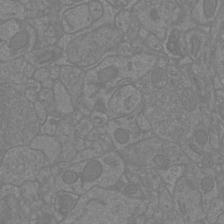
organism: Mouse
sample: Cortical neurons